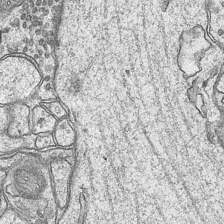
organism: Mouse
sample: CA1 Hippocampus